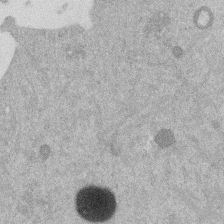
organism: Mouse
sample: Dividing mouse embryo 1 cell stage